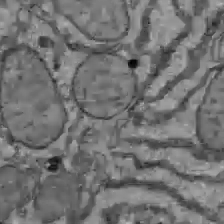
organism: C57BL Mouse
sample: Liver